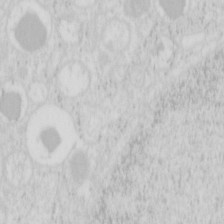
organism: Mouse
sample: Pancreas